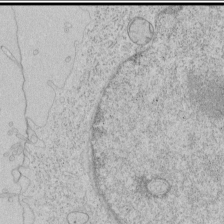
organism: Human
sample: Mitochondria in HCT116 cells